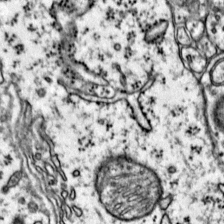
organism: Mouse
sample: Primary visual cortex